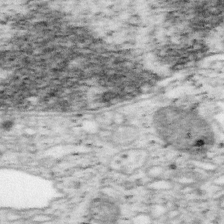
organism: Mouse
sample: OT-I killer T cells with ID8 ovarian cancer cells